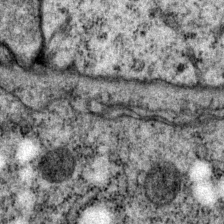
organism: P. pacificus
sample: Pharynx